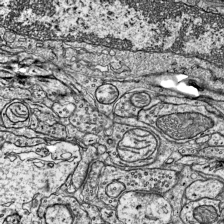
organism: Mouse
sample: Visual Cortex